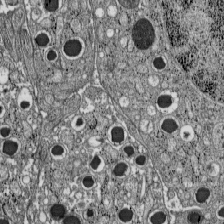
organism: C57BL Mouse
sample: Pancreatic islet